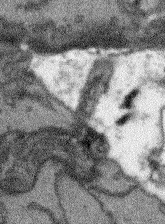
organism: Arabidopsis thaliana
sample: Root tip